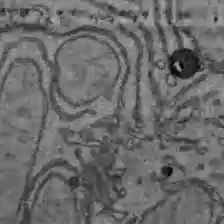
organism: C57BL Mouse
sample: Liver